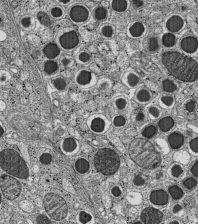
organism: C57BL Mouse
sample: Pancreatic islet